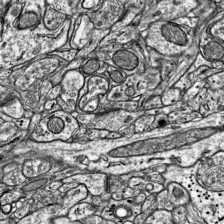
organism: Mouse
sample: Visual Cortex